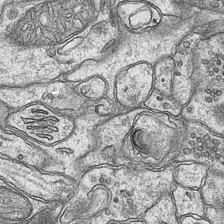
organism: Mouse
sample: CA1 Hippocampus